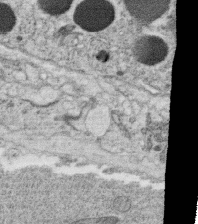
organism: C. elegans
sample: C. elegans oocyte; sperm cells